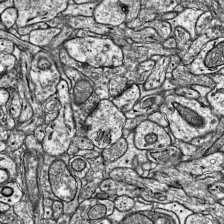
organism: Mouse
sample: Visual Cortex